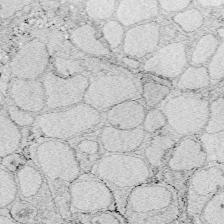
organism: Zebrafish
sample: Whole-Brain